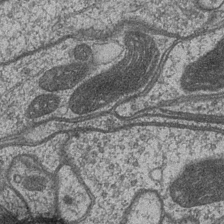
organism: Drosophila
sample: Optic medulla